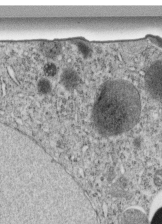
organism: C. elegans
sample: C. elegans embryo early stage